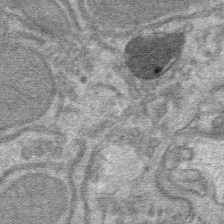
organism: Mouse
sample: Mouse hepatocytes